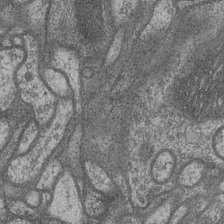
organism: Drosophila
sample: Optic medulla